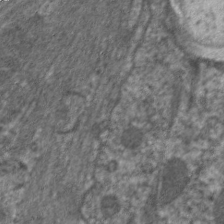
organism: C. elegans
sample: Pharynx